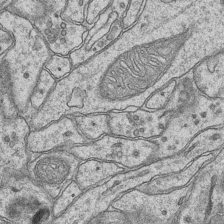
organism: Mouse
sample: CA1 Hippocampus